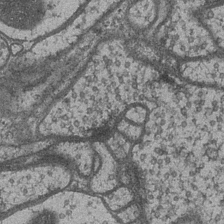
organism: Drosophila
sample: Optic medulla